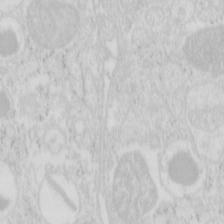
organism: Mouse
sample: Pancreas